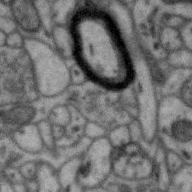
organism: Zebra finch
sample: Brain